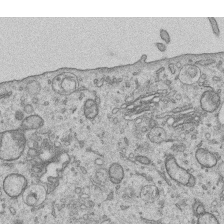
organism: Human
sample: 1205lu cells